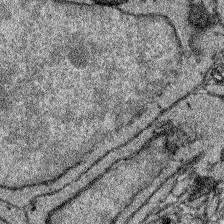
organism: Zebrafish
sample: Larval olfactory bulb